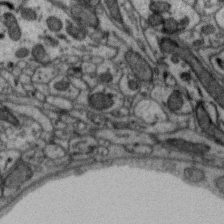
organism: Zebra finch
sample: Brain